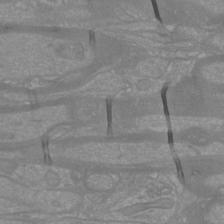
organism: Mouse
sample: Cortical neurons